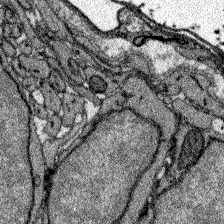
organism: Zebrafish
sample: Larval olfactory bulb